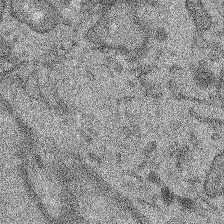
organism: Human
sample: HeLa cells